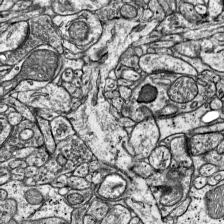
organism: Mouse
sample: Visual Cortex